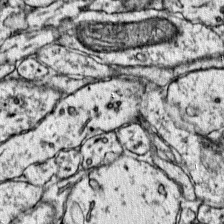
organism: Mouse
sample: Primary visual cortex